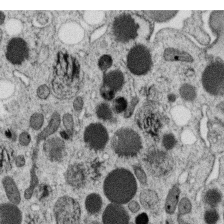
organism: C. elegans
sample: C. elegans oocyte; sperm cells